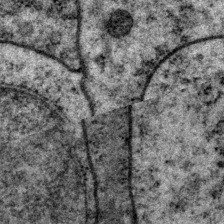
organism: P. pacificus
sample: Pharynx